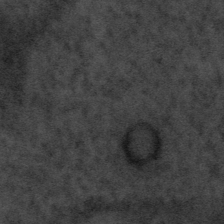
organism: Tuwongella immobilis